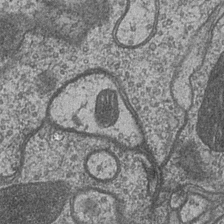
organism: Drosophila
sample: Optic medulla